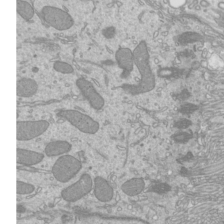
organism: Mouse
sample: Cilia; mouse epididymis